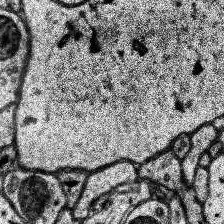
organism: Human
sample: Temporal Lobe